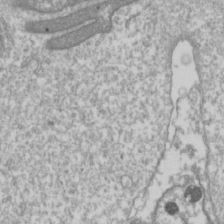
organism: Drosophila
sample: Cell division; meiosis; drosophila spermatocytes